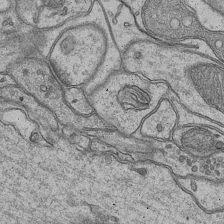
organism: Mouse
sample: CA1 Hippocampus